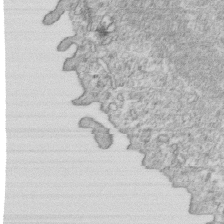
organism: Mouse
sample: Activated OT-1 CD8+ T cells